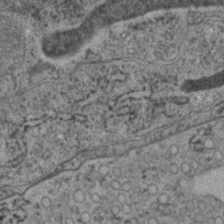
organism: C. elegans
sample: C. elegans embryo